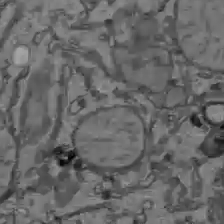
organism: C57BL Mouse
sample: Liver